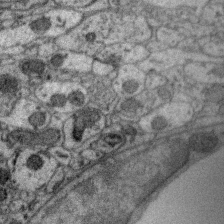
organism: Zebra finch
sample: Brain